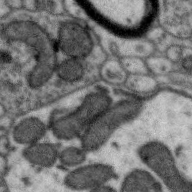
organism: Zebra finch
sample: Brain